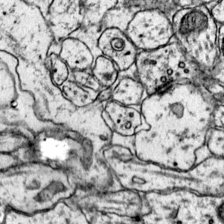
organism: Mouse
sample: Primary visual cortex